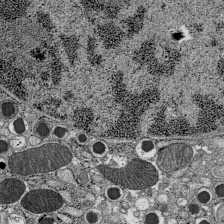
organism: C57BL Mouse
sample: Pancreatic islet